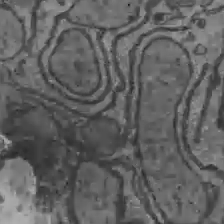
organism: C57BL Mouse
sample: Liver